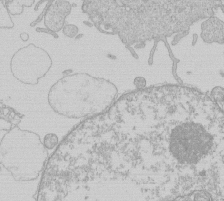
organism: Human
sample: Macrophage cells